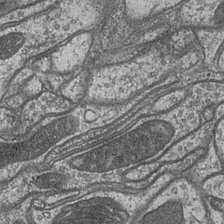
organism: Drosophila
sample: Optic medulla